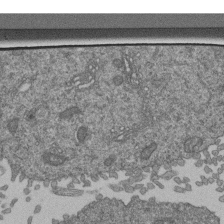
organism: Human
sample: Retinal organoid Rod and Cone cells